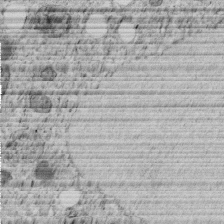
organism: C. elegans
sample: C. elegans embryo early stage